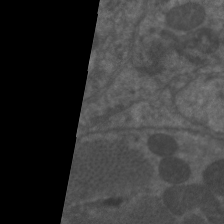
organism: C. elegans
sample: Pharynx